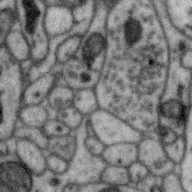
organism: Zebra finch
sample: Brain